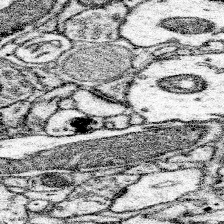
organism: Mouse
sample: Somatosensory cortex neuropil